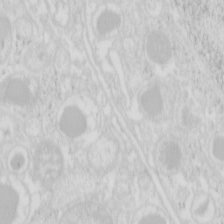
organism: Mouse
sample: Pancreas